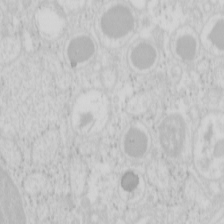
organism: Mouse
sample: Pancreas